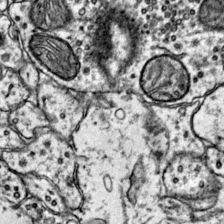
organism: Mouse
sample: Primary visual cortex